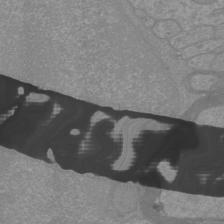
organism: Mouse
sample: Cortical neurons